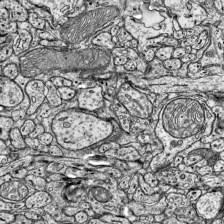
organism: Mouse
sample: Visual Cortex